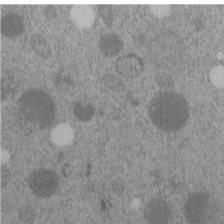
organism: C. elegans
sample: C. elegans embryo early stage